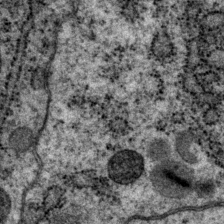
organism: P. pacificus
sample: Pharynx